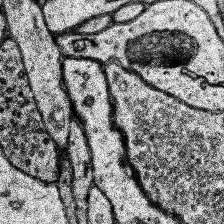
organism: Human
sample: Temporal Lobe